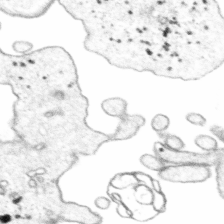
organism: Human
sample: HeLa cells